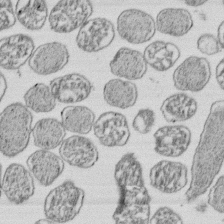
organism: E. coli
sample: Bacterial nucleoid